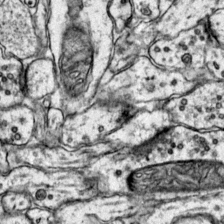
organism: Mouse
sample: Primary visual cortex